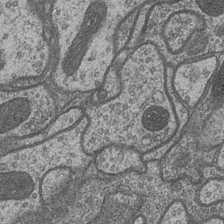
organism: Drosophila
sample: Optic medulla